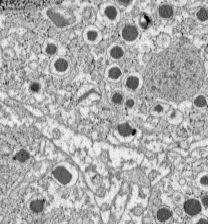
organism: C57BL Mouse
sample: Pancreatic islet